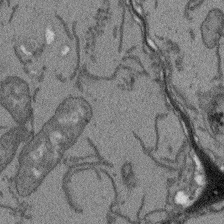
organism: Arabidopsis thaliana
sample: Root tip